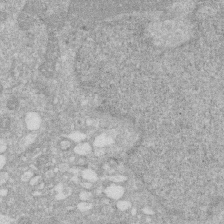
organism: Human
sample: HIV infected U937 cells